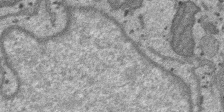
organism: Human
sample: Lung epithelial cells infected with SARS-CoV-2